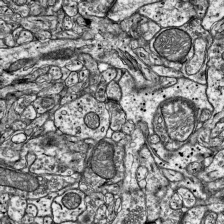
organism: Mouse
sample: Visual Cortex